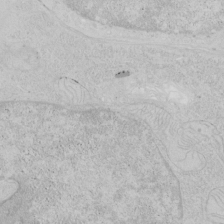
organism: Human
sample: Mitochondria in HCT116 cells